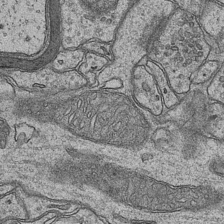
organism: Mouse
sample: CA1 Hippocampus